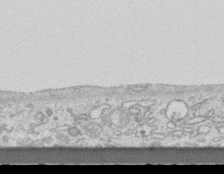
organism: Mouse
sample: Centriole in ependymal cells